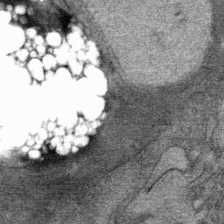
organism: Mouse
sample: Mouse Salivary gland